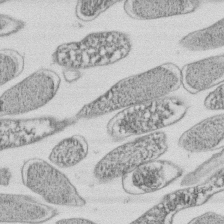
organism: E. coli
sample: Bacterial nucleoid